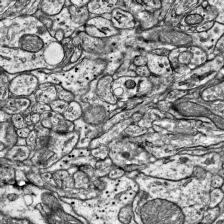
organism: Mouse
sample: Visual Cortex